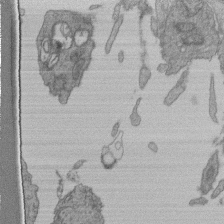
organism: Human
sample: Retinal organoid Rod and Cone cells